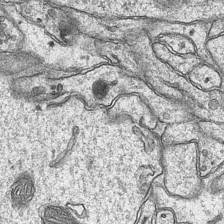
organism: Mouse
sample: CA1 Hippocampus